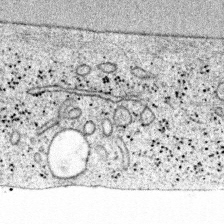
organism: Human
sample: HeLa cells